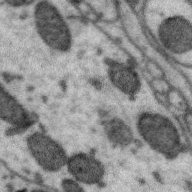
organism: Zebra finch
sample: Brain